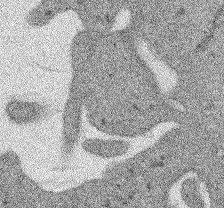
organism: Human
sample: HeLa cells